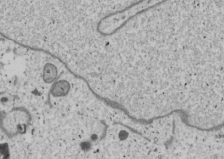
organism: Human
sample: Mitochondria in U2OS cells